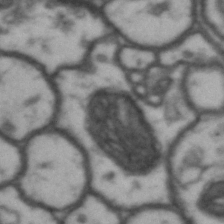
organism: Drosophila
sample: Brain